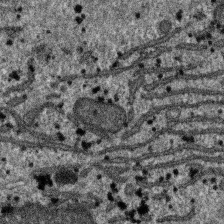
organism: Human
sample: Lung epithelial cells infected with SARS-CoV-2